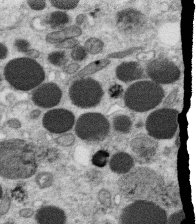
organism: C. elegans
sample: C. elegans oocyte; sperm cells